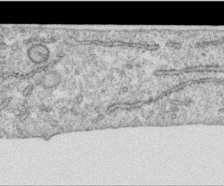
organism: Human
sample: Centriole in RPE cells